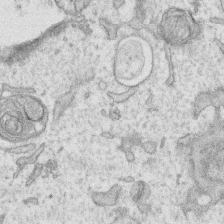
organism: Human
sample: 1205lu cells